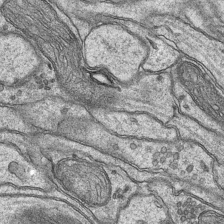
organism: Mouse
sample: CA1 Hippocampus